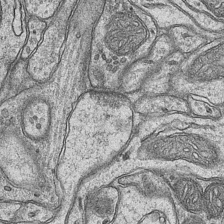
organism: Mouse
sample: CA1 Hippocampus